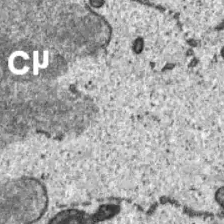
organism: Human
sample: HeLa cells